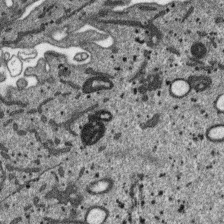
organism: Human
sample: Lung epithelial cells infected with SARS-CoV-2